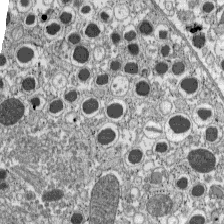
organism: C57BL Mouse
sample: Pancreatic islet